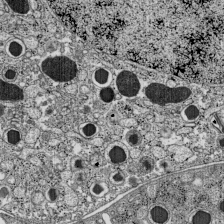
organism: C57BL Mouse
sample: Pancreatic islet